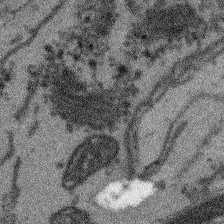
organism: Arabidopsis thaliana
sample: Root tip